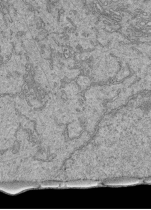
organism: Human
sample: Retinal organoid Rod and Cone cells